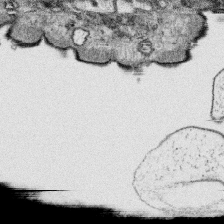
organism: Platynereis dumerilii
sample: Parapodia